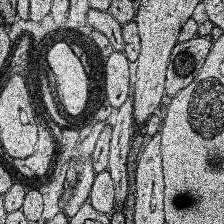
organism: Human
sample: Temporal Lobe